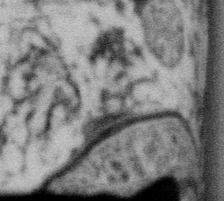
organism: Gemmata obscuriglobus